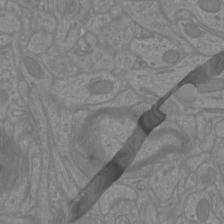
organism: Mouse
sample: Cortical neurons